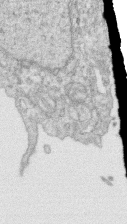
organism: Human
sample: HeLa cell HIV synapse